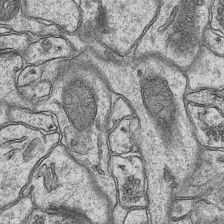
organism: Mouse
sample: CA1 Hippocampus